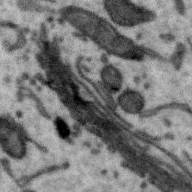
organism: Zebra finch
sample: Brain